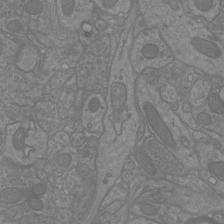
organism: Mouse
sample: Cortical neurons